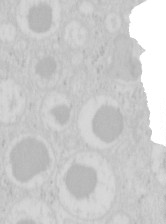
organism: Mouse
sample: Pancreas